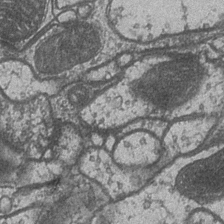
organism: Drosophila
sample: Optic medulla